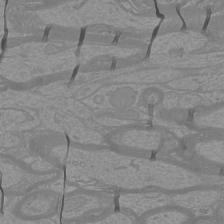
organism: Mouse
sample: Cortical neurons